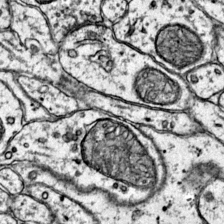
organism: Mouse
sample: Primary visual cortex